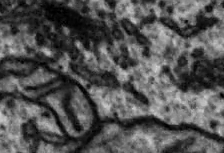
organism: Human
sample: HeLa cells